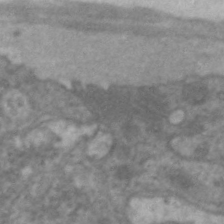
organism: C. elegans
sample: Pharynx